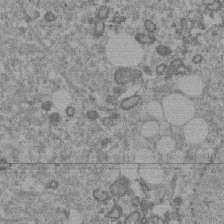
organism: Mouse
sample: Dividing mouse embryo 1 cell stage